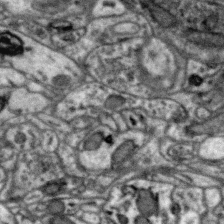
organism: Zebra finch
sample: Brain